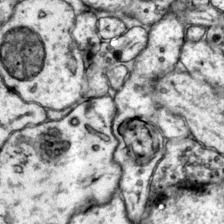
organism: Mouse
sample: Primary visual cortex